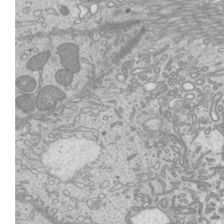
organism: Mouse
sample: Cilia; mouse epididymis